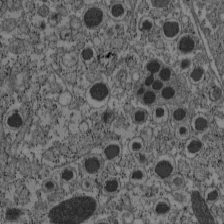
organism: C57BL Mouse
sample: Pancreatic islet